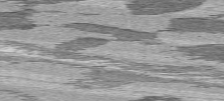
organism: C57BL Mouse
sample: Heart